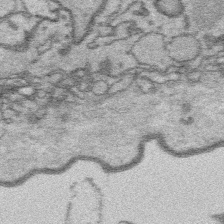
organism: Platynereis dumerilii